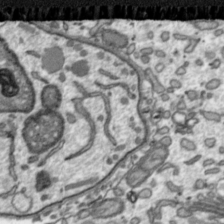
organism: Toxoplasma gondii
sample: Parasites in a vacuole inside a host cell